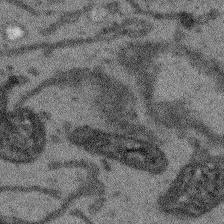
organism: Arabidopsis thaliana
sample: Root tip